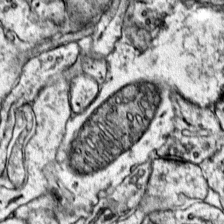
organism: Mouse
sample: Primary visual cortex